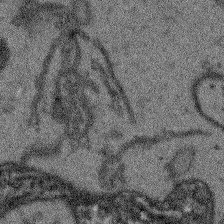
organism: Arabidopsis thaliana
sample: Root tip